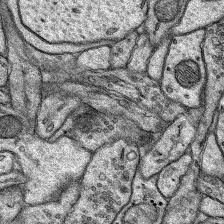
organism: Rat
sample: Hippocampus